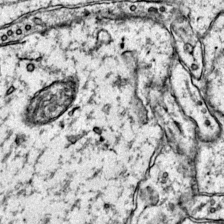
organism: Mouse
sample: Primary visual cortex